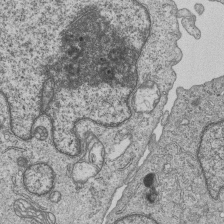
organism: Human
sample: MDA-MB-231 cells